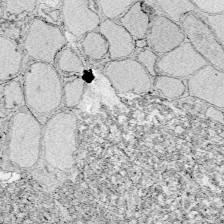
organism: Zebrafish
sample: Whole-Brain